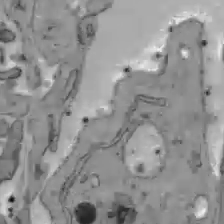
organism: C57BL Mouse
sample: Liver